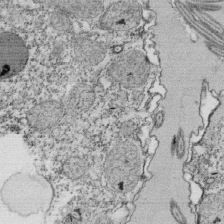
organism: Tetrahymena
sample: Cilia in tetrahymena